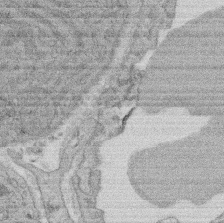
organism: Rat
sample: Salivary granule